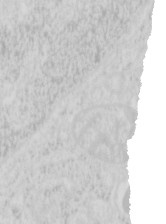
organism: Mouse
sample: Pancreas